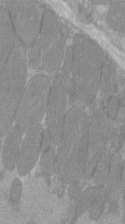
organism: C57BL Mouse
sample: Tibialis anterior muscle cell